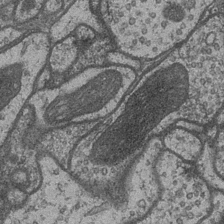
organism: Drosophila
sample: Optic medulla